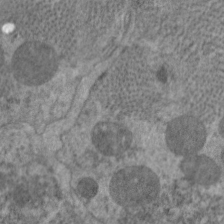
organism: C. elegans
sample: Pharynx